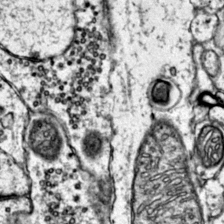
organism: Mouse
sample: Primary visual cortex